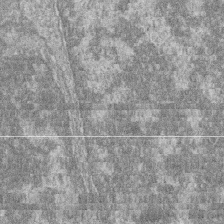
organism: Zebrafish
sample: Cilia; retinal pigment epithelium